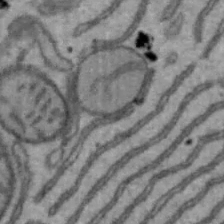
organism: Mouse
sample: Liver